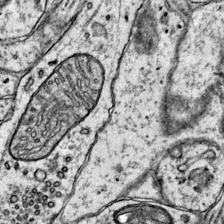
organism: Mouse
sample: Primary visual cortex